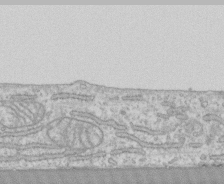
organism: Human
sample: CRL-1474